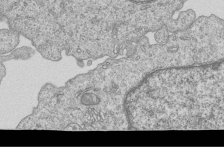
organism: Human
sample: MDA-MB-231 cells